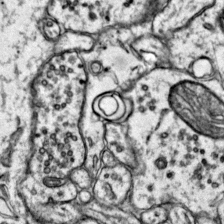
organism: Mouse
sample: Primary visual cortex